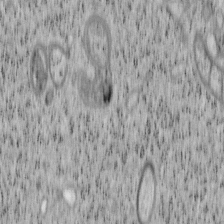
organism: Human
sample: HeLa cells